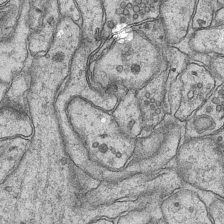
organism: Mouse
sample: CA1 Hippocampus